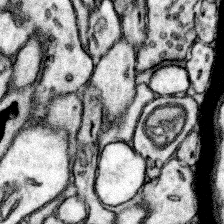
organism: Mouse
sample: Somatosensory cortex neuropil